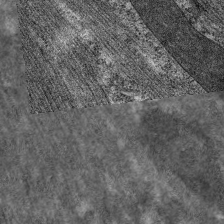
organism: C. elegans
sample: Pharynx